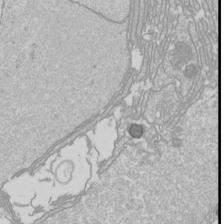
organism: Drosophila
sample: Cell division; meiosis; drosophila spermatocytes